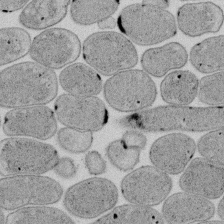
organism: E. coli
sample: Bacterial nucleoid